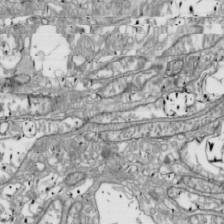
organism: Drosophila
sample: Cell division; meiosis; drosophila spermatocytes